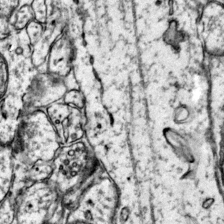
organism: Mouse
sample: Primary visual cortex